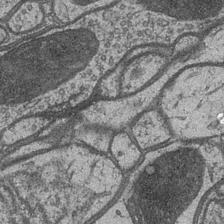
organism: Drosophila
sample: Optic medulla